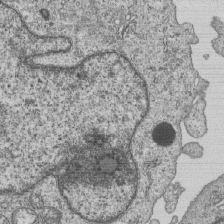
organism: Human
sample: MDA-MB-231 cells